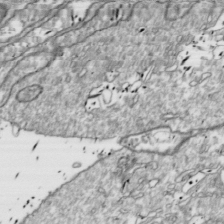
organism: Drosophila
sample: Cell division; meiosis; drosophila spermatocytes